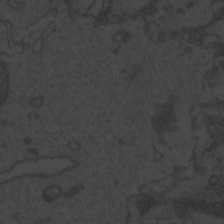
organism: Zebrafish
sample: Macrophage infected with Toxoplasma gondii